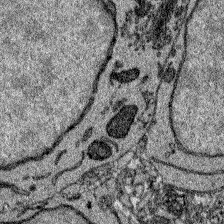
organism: Zebrafish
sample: Larval olfactory bulb